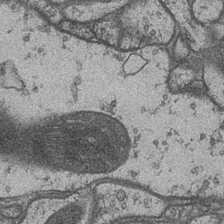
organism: Drosophila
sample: Optic medulla